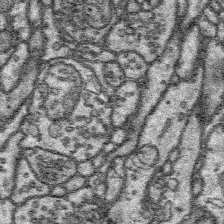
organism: Platynereis dumerilii